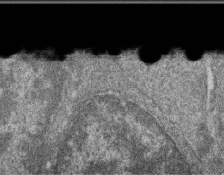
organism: Zebrafish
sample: Cilia; retinal pigment epithelium